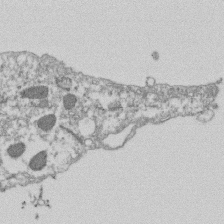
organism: Dictyostelium discoideum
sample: Dictyostelium multivesicular bodies